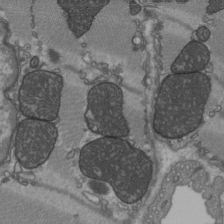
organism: C57BL Mouse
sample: Heart